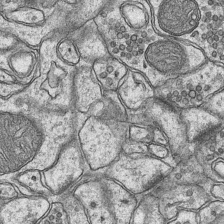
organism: Mouse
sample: CA1 Hippocampus